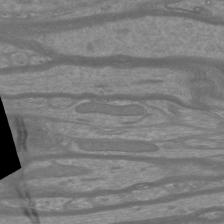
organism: Mouse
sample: Cortical neurons